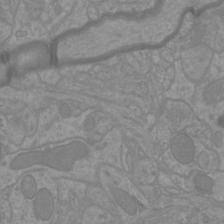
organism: Mouse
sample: Cortical neurons